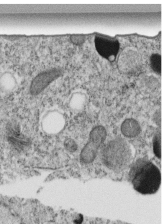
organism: C. elegans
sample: C. elegans embryo early stage